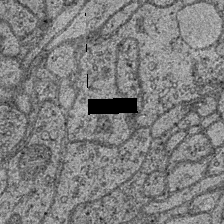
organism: Drosophila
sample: Optic medulla